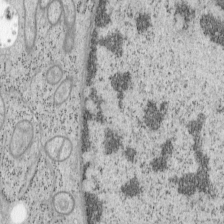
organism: Mouse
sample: OT-I killer T cells with ID8 ovarian cancer cells